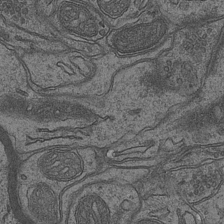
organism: Mouse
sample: CA1 Hippocampus